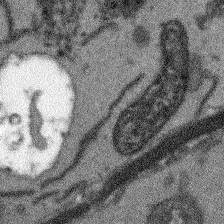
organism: Arabidopsis thaliana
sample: Root tip